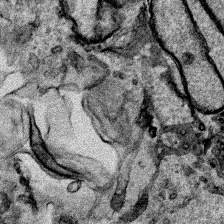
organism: Human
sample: Mitochondria in HCT116 cells